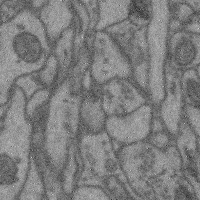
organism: Mouse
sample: Cerebral cortex